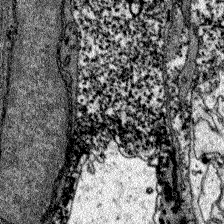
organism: Zebrafish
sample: Larval olfactory bulb